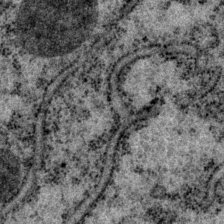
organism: P. pacificus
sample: Pharynx